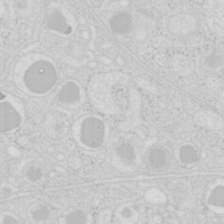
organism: Mouse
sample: Pancreas